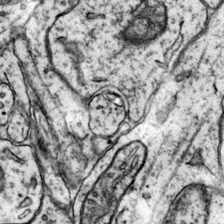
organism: Mouse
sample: Primary visual cortex